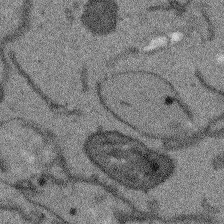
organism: Arabidopsis thaliana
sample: Root tip